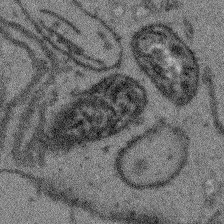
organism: Arabidopsis thaliana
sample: Root tip